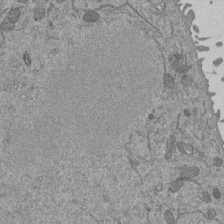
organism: Mouse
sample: ED-1 cell nuclei; centrioles